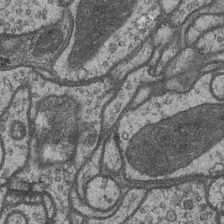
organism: Drosophila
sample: Optic medulla